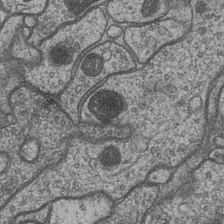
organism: Drosophila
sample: Optic medulla